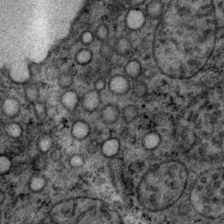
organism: P. pacificus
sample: Pharynx